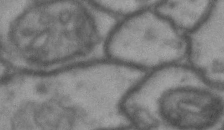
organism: Drosophila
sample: Brain